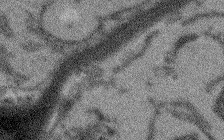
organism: Arabidopsis thaliana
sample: Root tip